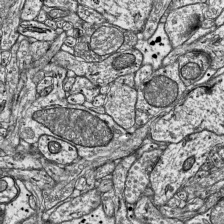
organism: Mouse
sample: Visual Cortex